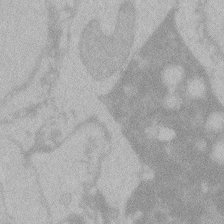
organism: Zebrafish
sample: Macrophage infected with Toxoplasma gondii